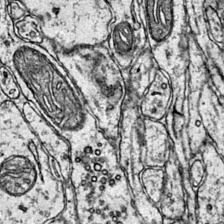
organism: Mouse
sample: Primary visual cortex